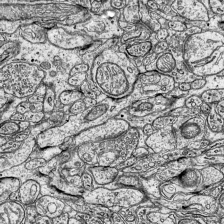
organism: Mouse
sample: Visual Cortex